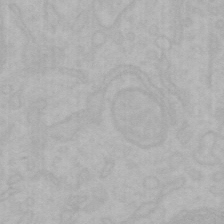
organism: Mouse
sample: Choroid plexus